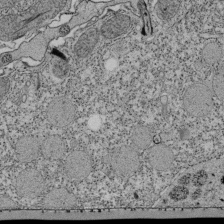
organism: Tetrahymena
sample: Cilia in tetrahymena